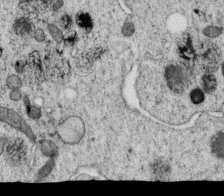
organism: C. elegans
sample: C. elegans oocyte; sperm cells